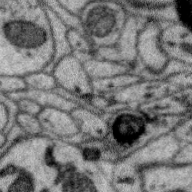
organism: Zebra finch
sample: Brain